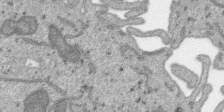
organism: Human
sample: Lung epithelial cells infected with SARS-CoV-2